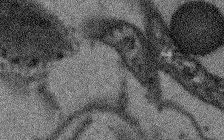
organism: Arabidopsis thaliana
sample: Root tip